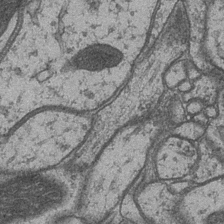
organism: Drosophila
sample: Optic medulla